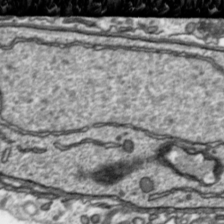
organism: Toxoplasma gondii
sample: Parasites in a vacuole inside a host cell